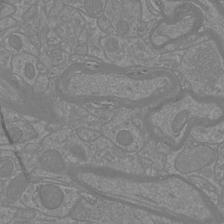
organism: Mouse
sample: Cortical neurons